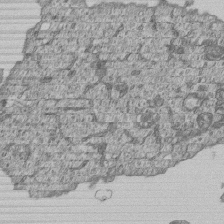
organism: Human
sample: MDA-MB-231 cells